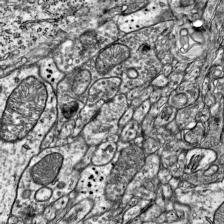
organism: Mouse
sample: Visual Cortex